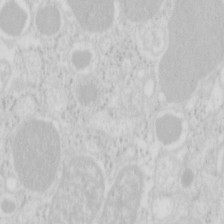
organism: Mouse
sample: Pancreas